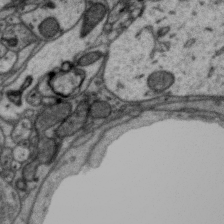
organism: Zebra finch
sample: Brain